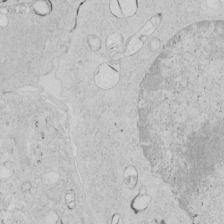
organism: Human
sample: Mitochondria in HCT116 cells